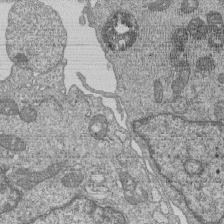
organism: Human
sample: MDA-MB-231 cells